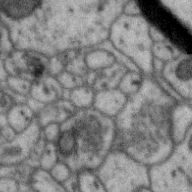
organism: Zebra finch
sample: Brain